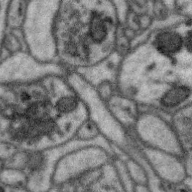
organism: Zebra finch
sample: Brain